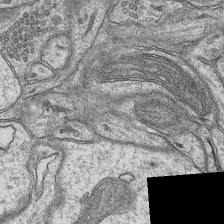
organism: Mouse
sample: CA1 Hippocampus